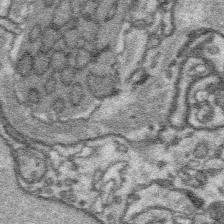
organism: Platynereis dumerilii